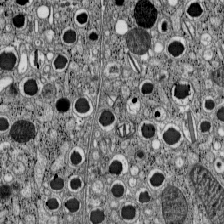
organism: C57BL Mouse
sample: Pancreatic islet